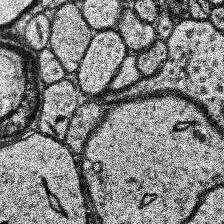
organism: Human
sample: Temporal Lobe